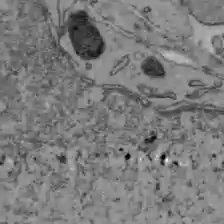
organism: C57BL Mouse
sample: Liver